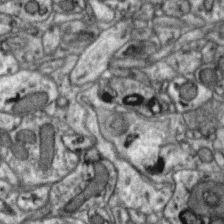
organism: Zebra finch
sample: Brain